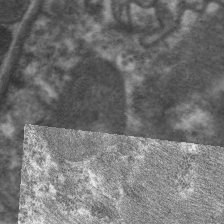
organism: C. elegans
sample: Pharynx